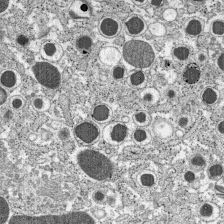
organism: C57BL Mouse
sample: Pancreatic islet